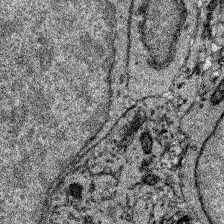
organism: Zebrafish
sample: Larval olfactory bulb